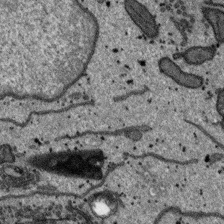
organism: Human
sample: Lung epithelial cells, uninfected (mock) control